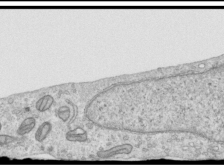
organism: Human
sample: Centriole in RPE cells